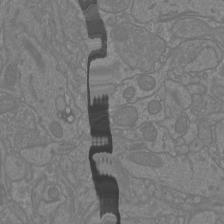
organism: Mouse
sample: Cortical neurons